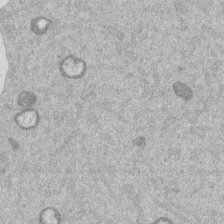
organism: Mouse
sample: Dividing mouse embryo 1 cell stage